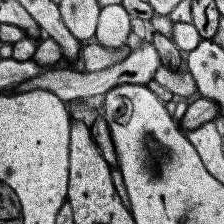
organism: Human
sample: Temporal Lobe